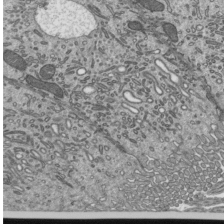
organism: Mouse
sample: Mouse epididymis efferent ductule cilia